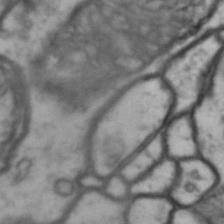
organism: Drosophila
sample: Brain